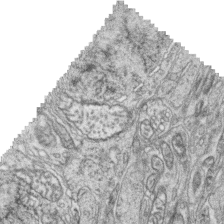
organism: Zebrafish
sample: synaptic ribbons in rod cells and cone cells